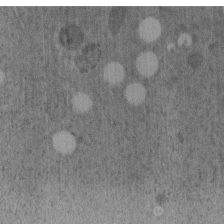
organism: C. elegans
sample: C. elegans embryo early stage